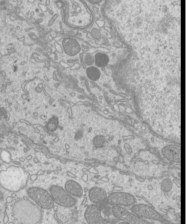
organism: Mouse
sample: Cilia; mouse epididymis